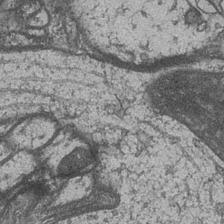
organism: Drosophila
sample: Optic medulla